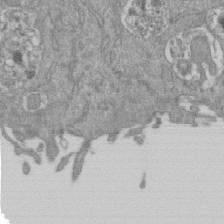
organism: Mouse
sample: ED-1 cell nuclei; centrioles